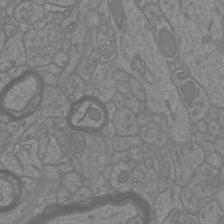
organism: Mouse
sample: Cortical neurons